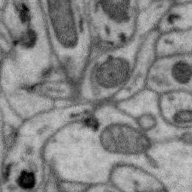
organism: Zebra finch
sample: Brain